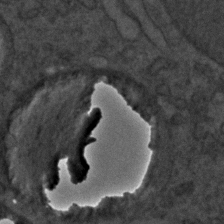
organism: C. elegans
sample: C. elegans embryo